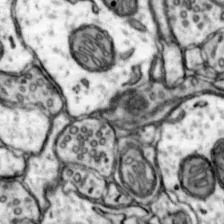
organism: Mouse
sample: Nucleus accumbens